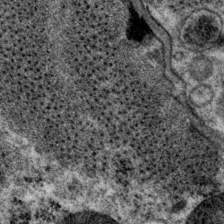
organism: P. pacificus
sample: Pharynx